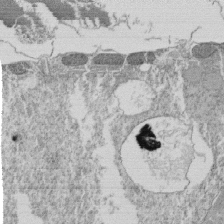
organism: Tetrahymena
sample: Cilia in tetrahymena